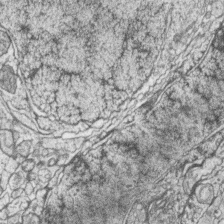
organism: Zebrafish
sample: synaptic ribbons in rod cells and cone cells